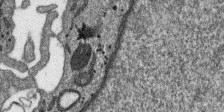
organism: Human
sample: Lung epithelial cells infected with SARS-CoV-2